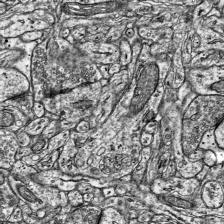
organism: Mouse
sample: Visual Cortex